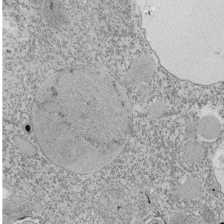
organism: Tetrahymena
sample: Cilia in tetrahymena